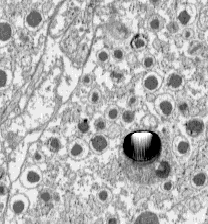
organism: C57BL Mouse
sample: Pancreatic islet